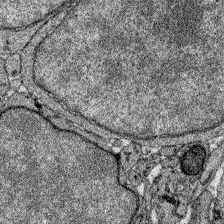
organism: Zebrafish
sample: Larval olfactory bulb